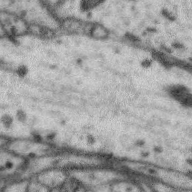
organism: Zebra finch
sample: Brain